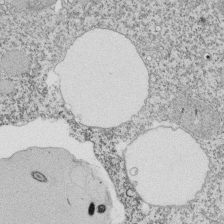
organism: Tetrahymena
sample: Cilia in tetrahymena